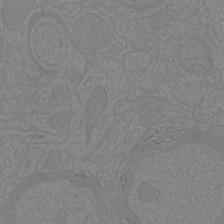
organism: Mouse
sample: Cortical neurons